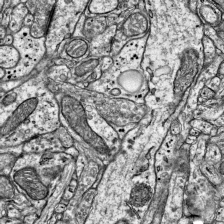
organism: Mouse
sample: Visual Cortex